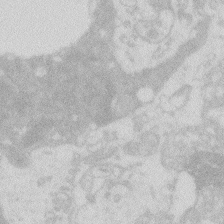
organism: Zebrafish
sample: Macrophage